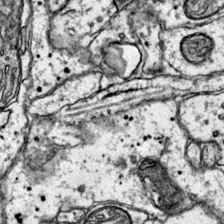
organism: Mouse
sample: Primary visual cortex